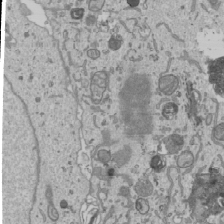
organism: Human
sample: Mitochondria in U2OS cells